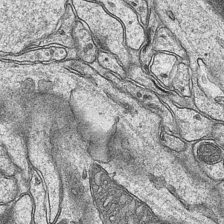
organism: Mouse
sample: CA1 Hippocampus